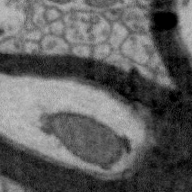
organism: Zebra finch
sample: Brain